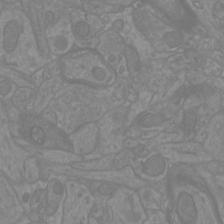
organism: Mouse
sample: Cortical neurons